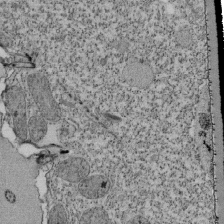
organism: Tetrahymena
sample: Cilia in tetrahymena